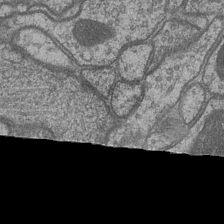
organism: Drosophila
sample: Optic medulla